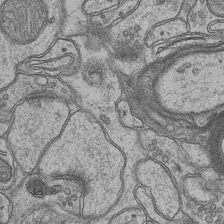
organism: Mouse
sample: CA1 Hippocampus